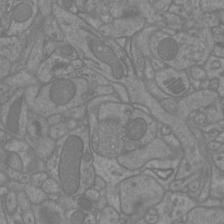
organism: Mouse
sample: Cortical neurons